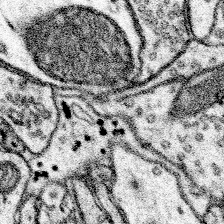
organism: Mouse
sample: Somatosensory cortex neuropil